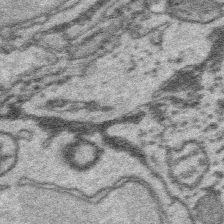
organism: Platynereis dumerilii